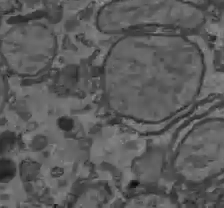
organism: C57BL Mouse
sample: Liver